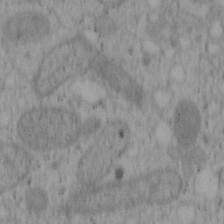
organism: Mouse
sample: OT-I killer T cells with ID8 ovarian cancer cells